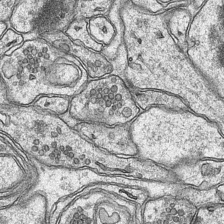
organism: Mouse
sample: CA1 Hippocampus